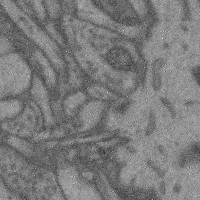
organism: Mouse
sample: Cerebral cortex